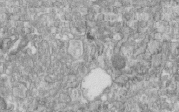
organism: Human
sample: Centriole in fibroblast cells